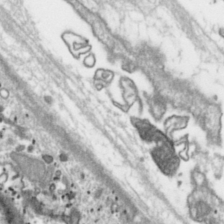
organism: Toxoplasma gondii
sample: Parasites in a vacuole inside a host cell